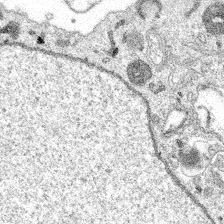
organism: Spongilla lacustris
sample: Multiple